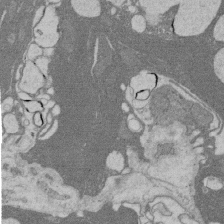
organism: Rat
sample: Salivary granule